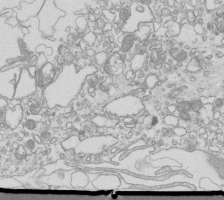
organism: Mouse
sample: Macrophages